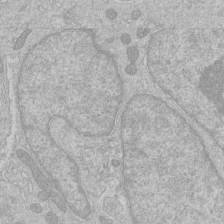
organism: Human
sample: Macrophage cells